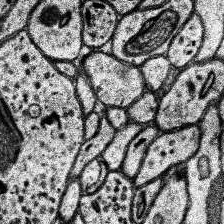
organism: Human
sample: Temporal Lobe